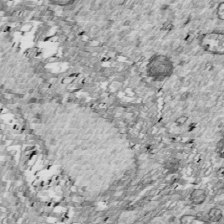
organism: Drosophila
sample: Cell division; meiosis; drosophila spermatocytes